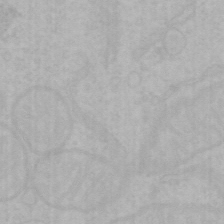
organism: Mouse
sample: Choroid plexus